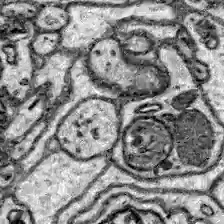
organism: Zebrafish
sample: Brain